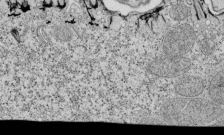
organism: Tetrahymena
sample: Cilia in tetrahymena